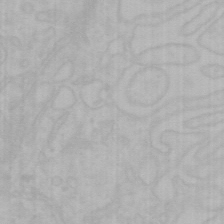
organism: Mouse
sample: Choroid plexus